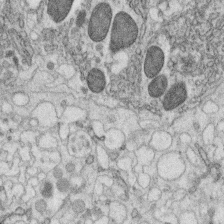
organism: C. elegans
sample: C. elegans oocyte; sperm cells